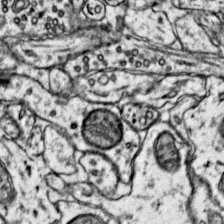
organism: Mouse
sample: Primary visual cortex